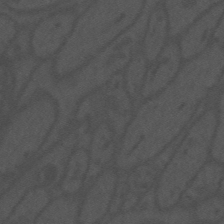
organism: Mouse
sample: Suprachiasmatic nucleus